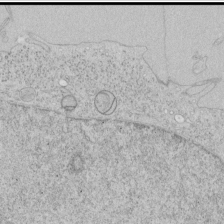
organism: Human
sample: Mitochondria in HCT116 cells